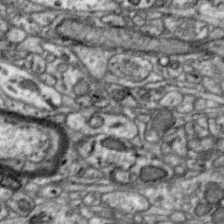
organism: Zebra finch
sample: Brain